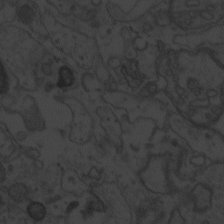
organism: Zebrafish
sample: Macrophage infected with Toxoplasma gondii